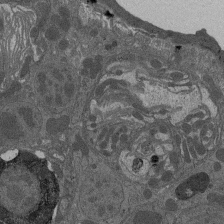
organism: Drosophila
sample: Antenna